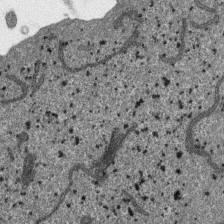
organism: Human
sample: Lung epithelial cells infected with SARS-CoV-2